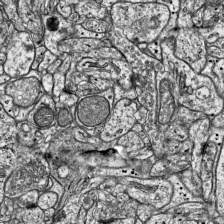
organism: Mouse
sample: Visual Cortex